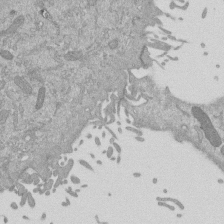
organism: Mouse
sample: ED-1 cell nuclei; centrioles